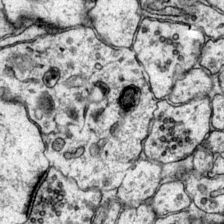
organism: Mouse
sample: Primary visual cortex